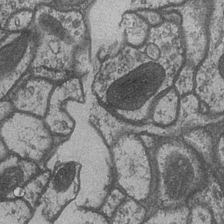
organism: Drosophila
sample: Optic medulla